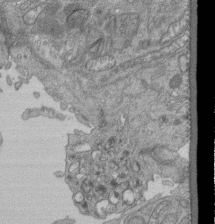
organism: Human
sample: Retinal organoid Rod and Cone cells